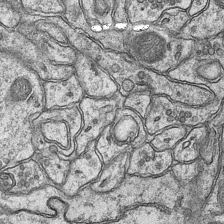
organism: Mouse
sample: CA1 Hippocampus